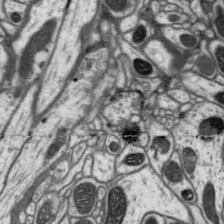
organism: Drosophila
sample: Protocerebral bridge